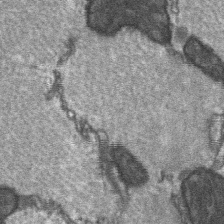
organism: C57BL Mouse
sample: Soleus